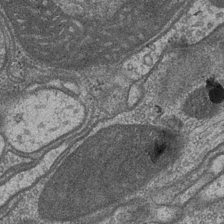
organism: Drosophila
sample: Optic medulla